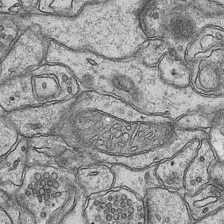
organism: Mouse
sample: CA1 Hippocampus